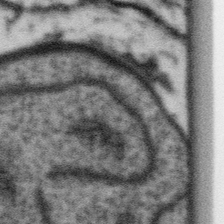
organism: Gemmata obscuriglobus